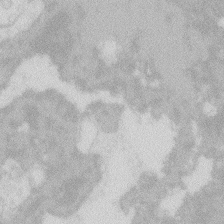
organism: Zebrafish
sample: Macrophage